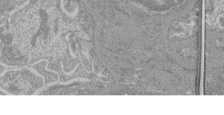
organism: Mouse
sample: Glomerulus